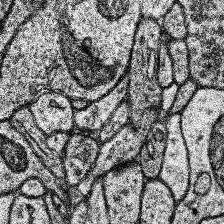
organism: Human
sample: Temporal Lobe